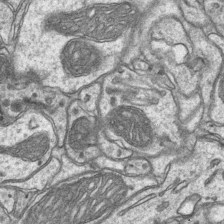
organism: Mouse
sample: CA1 Hippocampus